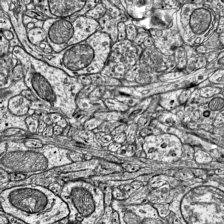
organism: Mouse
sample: Visual Cortex